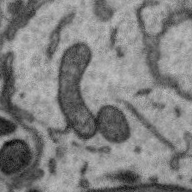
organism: Zebra finch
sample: Brain